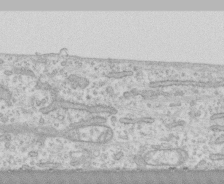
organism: Human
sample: CRL-1474